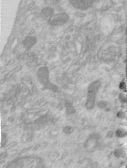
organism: Human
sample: Centriole in RPE cells